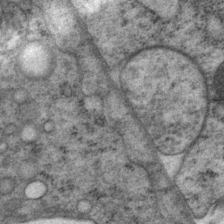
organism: P. pacificus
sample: Pharynx